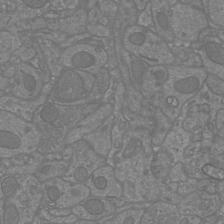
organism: Mouse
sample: Cortical neurons